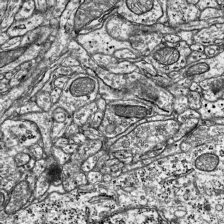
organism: Mouse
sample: Visual Cortex